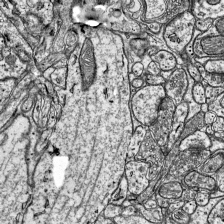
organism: Mouse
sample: Visual Cortex